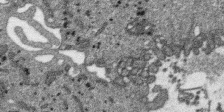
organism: Human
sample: Lung epithelial cells infected with SARS-CoV-2